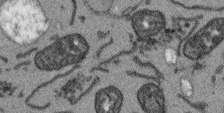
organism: Arabidopsis thaliana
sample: Root tip